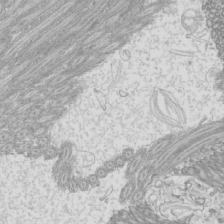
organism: Mouse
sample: Cilia; mouse epididymis